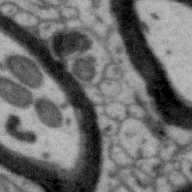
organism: Zebra finch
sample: Brain